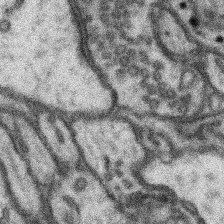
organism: Mouse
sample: Somatosensory cortex neuropil